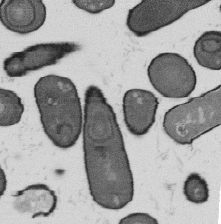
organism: B. subtilis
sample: Bacterial spore